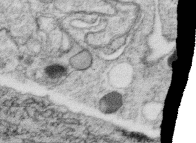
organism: C. elegans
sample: C. elegans oocyte; sperm cells